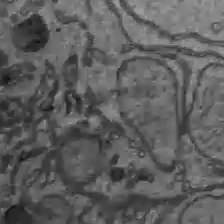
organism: C57BL Mouse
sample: Liver